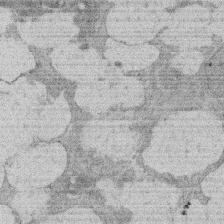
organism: Rat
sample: Salivary granule